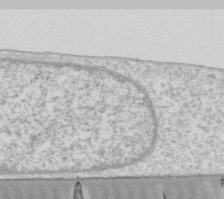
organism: Human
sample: Fibroblast cells